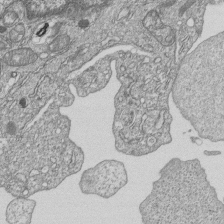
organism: Human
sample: MDA-MB-231 cells